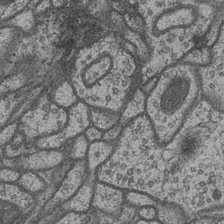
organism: Drosophila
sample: Optic medulla